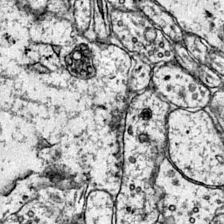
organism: Mouse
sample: Primary visual cortex